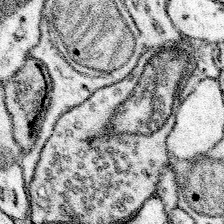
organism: Mouse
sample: Somatosensory cortex neuropil